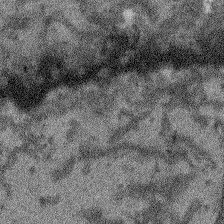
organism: Arabidopsis thaliana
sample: Root tip